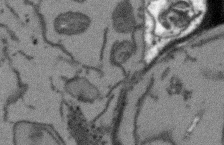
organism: Arabidopsis thaliana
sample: Root tip